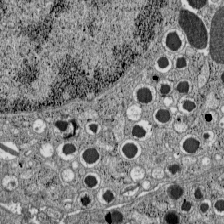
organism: C57BL Mouse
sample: Pancreatic islet